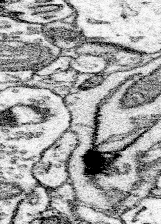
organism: Mouse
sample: Somatosensory cortex neuropil